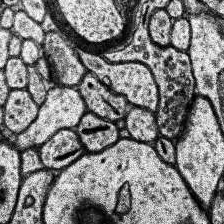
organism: Human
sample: Temporal Lobe